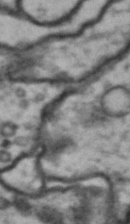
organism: Drosophila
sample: Brain